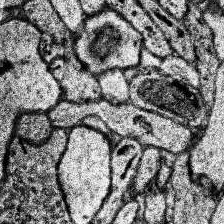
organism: Human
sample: Temporal Lobe